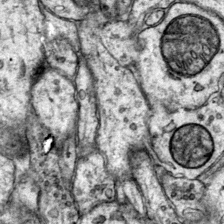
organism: Mouse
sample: Primary visual cortex